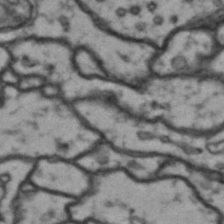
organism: Drosophila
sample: Brain